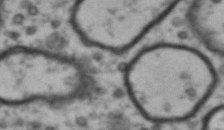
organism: Drosophila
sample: Brain